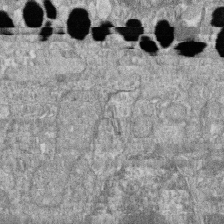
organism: Zebrafish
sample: Cilia; retinal pigment epithelium